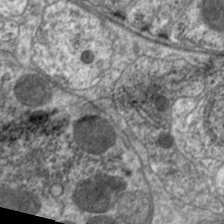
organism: C. elegans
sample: Pharynx